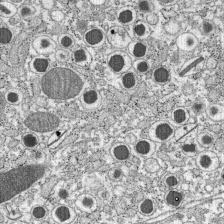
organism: C57BL Mouse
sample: Pancreatic islet